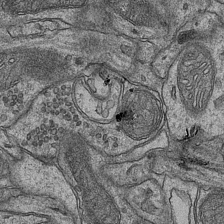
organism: Mouse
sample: CA1 Hippocampus